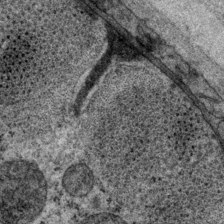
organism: P. pacificus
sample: Pharynx